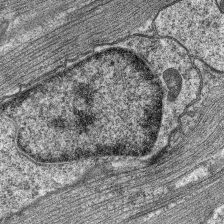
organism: C. elegans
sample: Pharynx